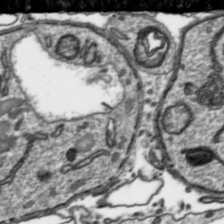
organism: Toxoplasma gondii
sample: Parasites in a vacuole inside a host cell